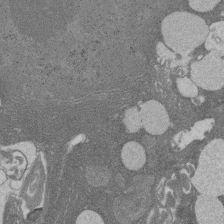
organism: Rat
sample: Salivary granule